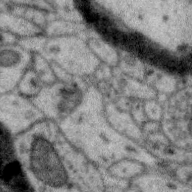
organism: Zebra finch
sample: Brain